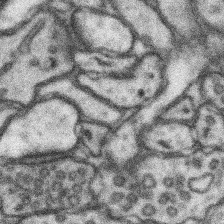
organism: Mouse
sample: Somatosensory cortex neuropil